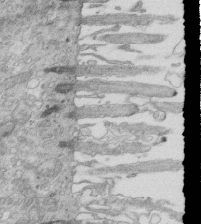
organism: Mouse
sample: Multiciliated cells